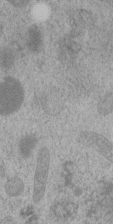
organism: C. elegans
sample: C. elegans embryo early stage